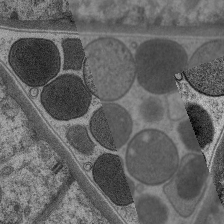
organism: C. elegans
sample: Pharynx